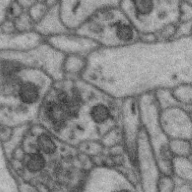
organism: Zebra finch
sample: Brain